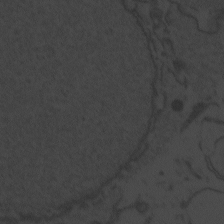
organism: Zebrafish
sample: Macrophage infected with Toxoplasma gondii